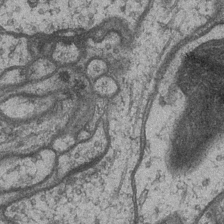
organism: Drosophila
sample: Optic medulla